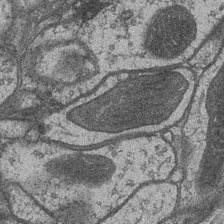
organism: Drosophila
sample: Optic medulla